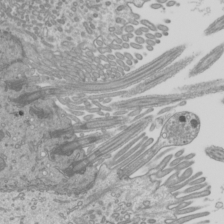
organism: Mouse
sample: Cilia; mouse epididymis